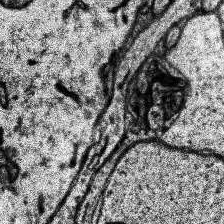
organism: Human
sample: Temporal Lobe